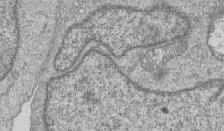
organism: Human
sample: MDA-MB-231 cells